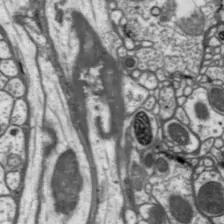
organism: Drosophila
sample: Protocerebral bridge